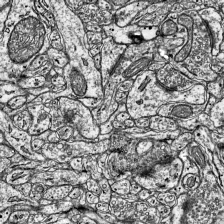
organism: Mouse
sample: Visual Cortex